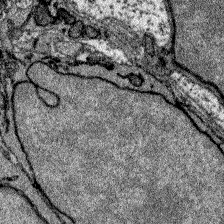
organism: Zebrafish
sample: Larval olfactory bulb